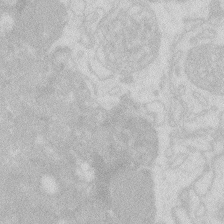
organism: Zebrafish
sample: Macrophage